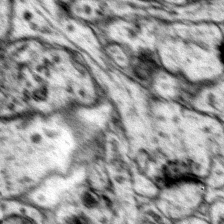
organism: Mouse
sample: Primary visual cortex